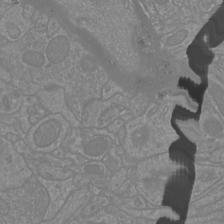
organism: Mouse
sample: Cortical neurons